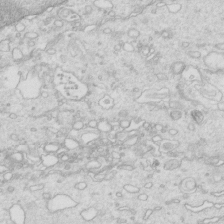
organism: Mouse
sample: Multiciliated cells